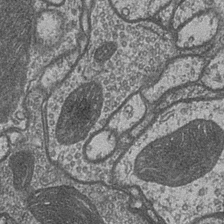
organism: Drosophila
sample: Optic medulla